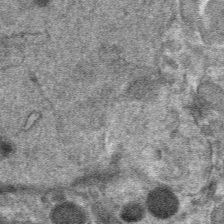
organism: Mouse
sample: Mouse hepatocytes